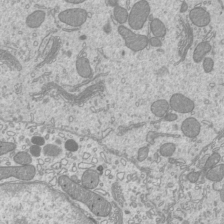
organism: Mouse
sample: Cilia; mouse epididymis